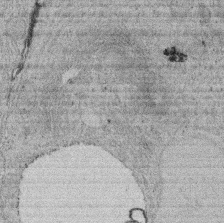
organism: Rat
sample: Salivary granule